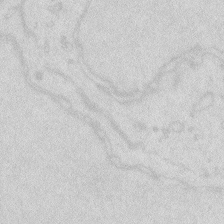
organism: Zebrafish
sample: Macrophage